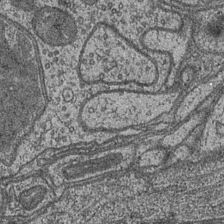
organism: Drosophila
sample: Optic medulla